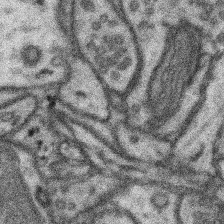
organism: Mouse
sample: Somatosensory cortex neuropil